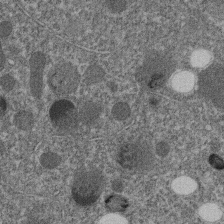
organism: C. elegans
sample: C. elegans embryo early stage